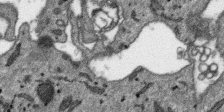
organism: Human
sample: Lung epithelial cells, uninfected (mock) control